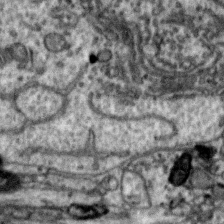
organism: Zebra finch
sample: Brain